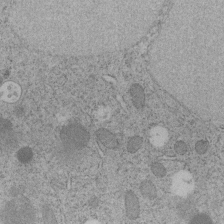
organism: C. elegans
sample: C. elegans embryo early stage